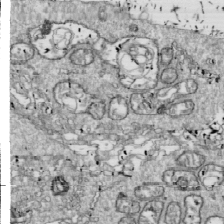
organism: Drosophila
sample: Cell division; meiosis; drosophila spermatocytes